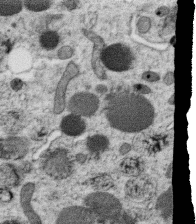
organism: C. elegans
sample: C. elegans oocyte; sperm cells